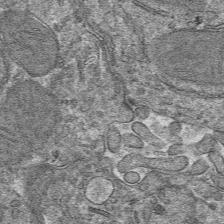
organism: Mouse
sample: Mouse hepatocytes